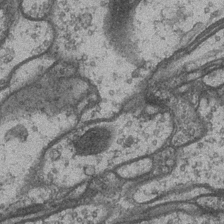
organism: Drosophila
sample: Optic medulla